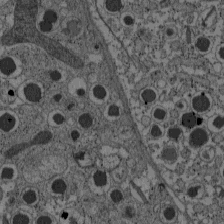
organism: C57BL Mouse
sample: Pancreatic islet